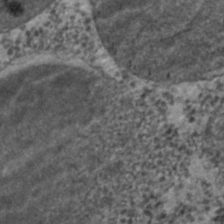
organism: C. elegans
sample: C. elegans embryo